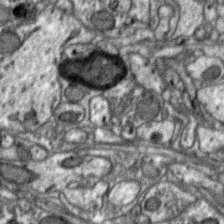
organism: Zebra finch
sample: Brain